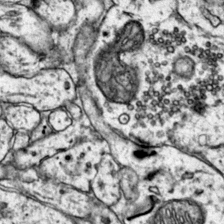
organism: Mouse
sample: Primary visual cortex